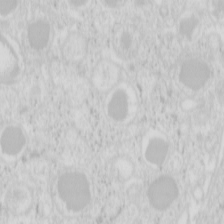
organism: Mouse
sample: Pancreas